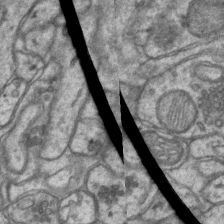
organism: Mouse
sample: CA1 Hippocampus